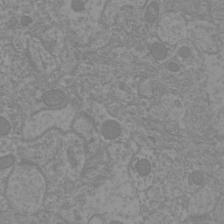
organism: Mouse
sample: Cortical neurons